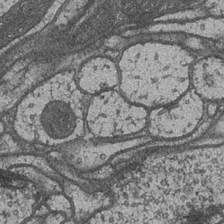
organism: Drosophila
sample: Optic medulla